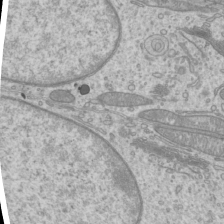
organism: Mouse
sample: Cilia; mouse epididymis